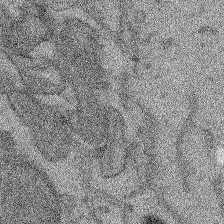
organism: Human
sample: HeLa cells